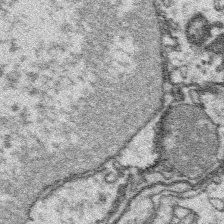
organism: Platynereis dumerilii